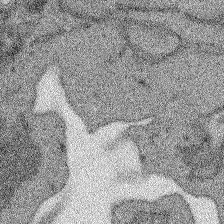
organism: Human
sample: HeLa cells